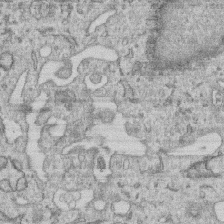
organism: Human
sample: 1205lu cells